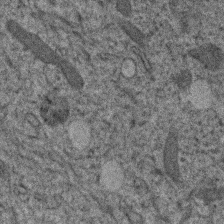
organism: Human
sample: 1205lu cells